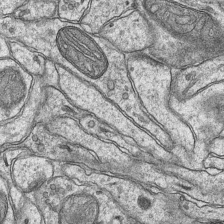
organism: Mouse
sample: CA1 Hippocampus